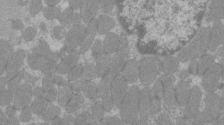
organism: C57BL Mouse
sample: Tibialis anterior muscle cell